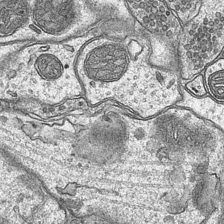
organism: Mouse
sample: CA1 Hippocampus